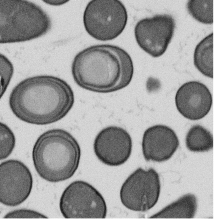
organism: B. subtilis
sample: Bacterial spore